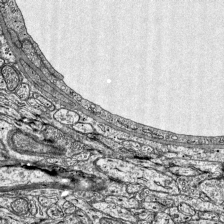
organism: Mouse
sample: Visual Cortex